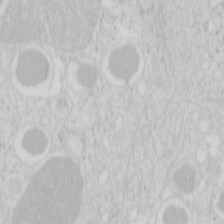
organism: Mouse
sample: Pancreas